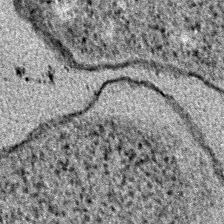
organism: E. coli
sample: E. Coli Bacteria